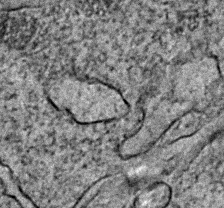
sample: Trachea